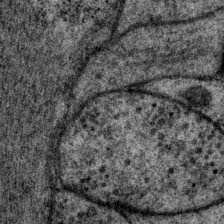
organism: P. pacificus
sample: Pharynx